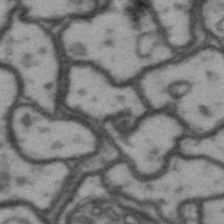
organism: Drosophila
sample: Brain